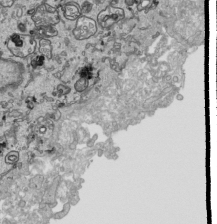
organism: Human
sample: Mitochondria in HCT116 cells